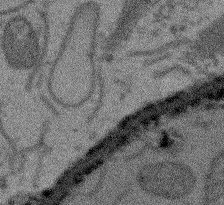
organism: Arabidopsis thaliana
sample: Root tip